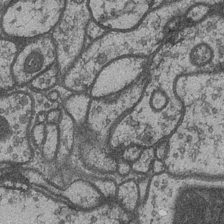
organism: Drosophila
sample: Optic medulla